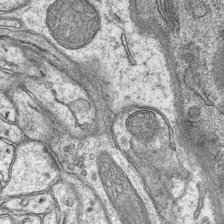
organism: Mouse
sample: CA1 Hippocampus